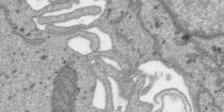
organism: Human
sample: Lung epithelial cells infected with SARS-CoV-2